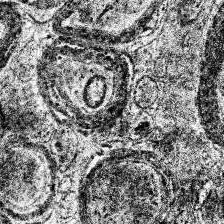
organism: Human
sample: Temporal Lobe